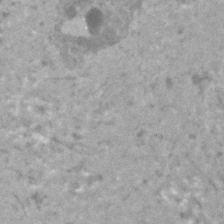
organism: Human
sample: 1205lu cells